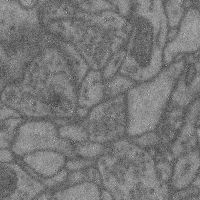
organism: Mouse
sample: Cerebral cortex